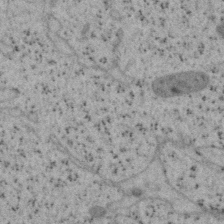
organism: Human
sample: HeLa cells